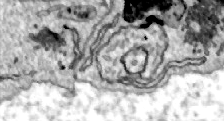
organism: Zebrafish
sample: Actinotrichia fibers